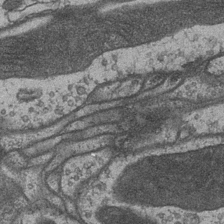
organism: Drosophila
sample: Optic medulla